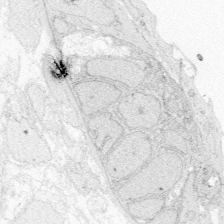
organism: Zebrafish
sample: Whole-Brain